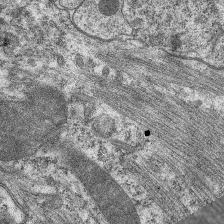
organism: C. elegans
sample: Pharynx